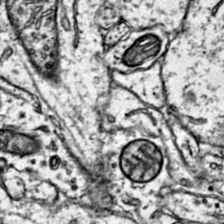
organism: Mouse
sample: Primary visual cortex